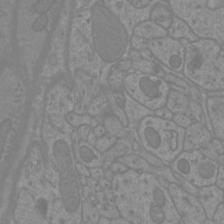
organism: Mouse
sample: Cortical neurons